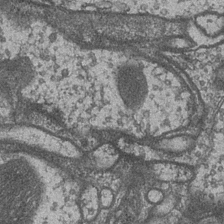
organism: Drosophila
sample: Optic medulla